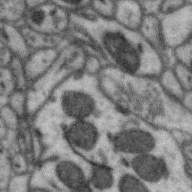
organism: Zebra finch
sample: Brain